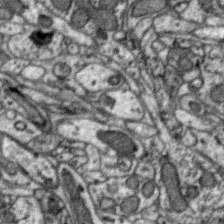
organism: Zebra finch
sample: Brain